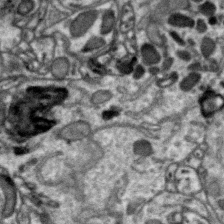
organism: Zebra finch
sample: Brain